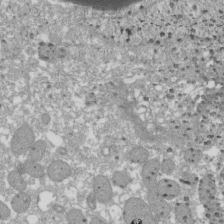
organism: Xenopus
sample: Cilia; centrioles in frog embryo cells